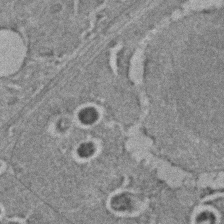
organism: C. elegans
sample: C. elegans embryo